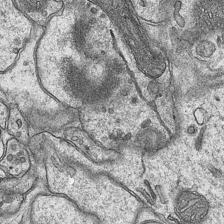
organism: Mouse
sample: CA1 Hippocampus